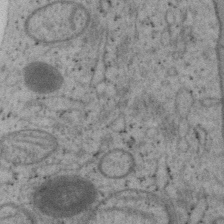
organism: Human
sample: HeLa cells